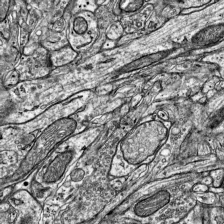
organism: Mouse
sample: Visual Cortex